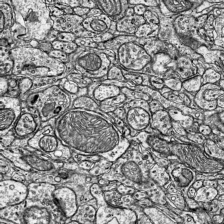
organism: Mouse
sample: Visual Cortex